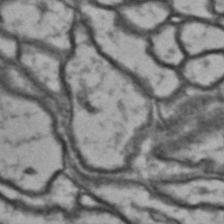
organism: Drosophila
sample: Brain